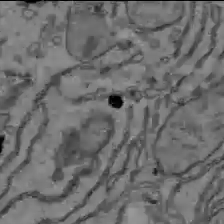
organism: C57BL Mouse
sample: Liver